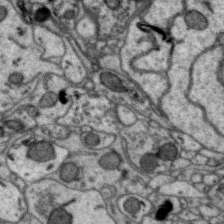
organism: Zebra finch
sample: Brain